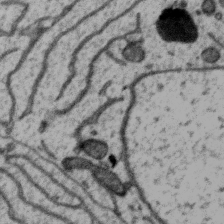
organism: Zebra finch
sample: Brain